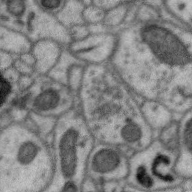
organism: Zebra finch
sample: Brain